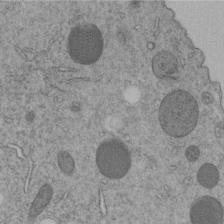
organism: C. elegans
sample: C. elegans embryo early stage